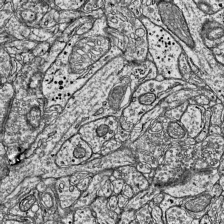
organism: Mouse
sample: Visual Cortex